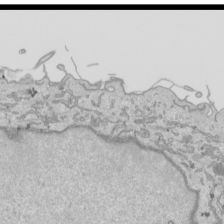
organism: Human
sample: Mitochondria in HCT116 cells